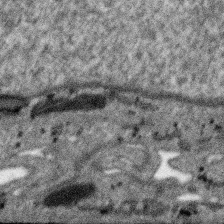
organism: Human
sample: Lung epithelial cells infected with SARS-CoV-2